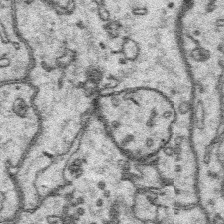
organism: Platynereis dumerilii